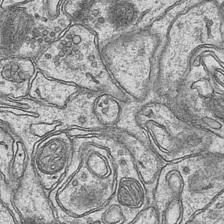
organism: Mouse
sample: CA1 Hippocampus